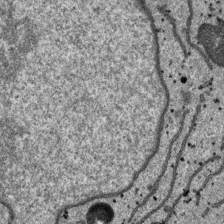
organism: Human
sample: Lung epithelial cells, uninfected (mock) control